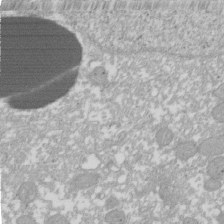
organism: Xenopus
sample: Cilia; centrioles in frog embryo cells